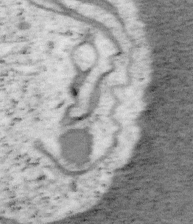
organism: Mouse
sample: OT-I killer T cells with ID8 ovarian cancer cells